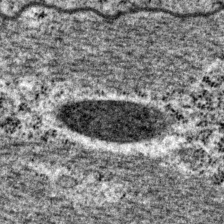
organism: P. pacificus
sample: Pharynx